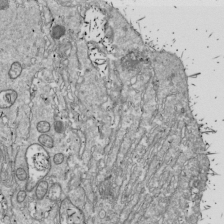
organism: Drosophila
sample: Cell division; meiosis; drosophila spermatocytes